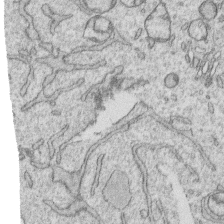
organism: Human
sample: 1205lu cells